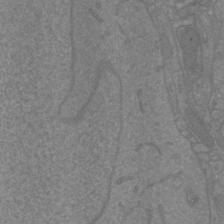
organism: Mouse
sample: Cortical neurons